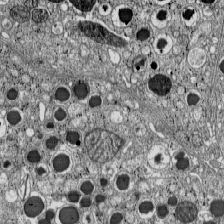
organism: C57BL Mouse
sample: Pancreatic islet